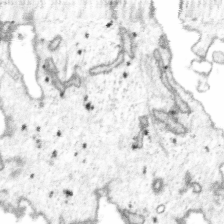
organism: Human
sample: HeLa cells